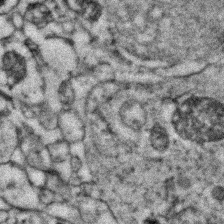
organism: Zebrafish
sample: Zebrafish embryo